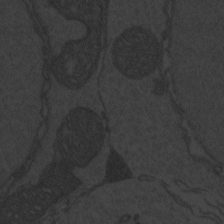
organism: Zebrafish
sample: Macrophage infected with Toxoplasma gondii